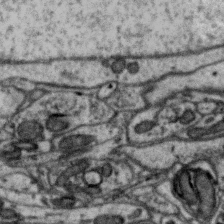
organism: Zebra finch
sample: Brain